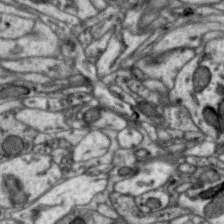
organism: Zebra finch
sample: Brain